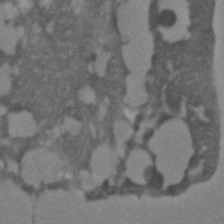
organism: C. elegans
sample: C. elegans embryo